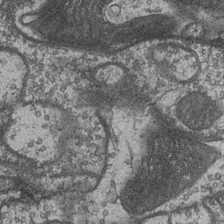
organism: Drosophila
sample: Optic medulla